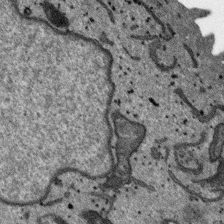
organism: Human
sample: Lung epithelial cells, uninfected (mock) control